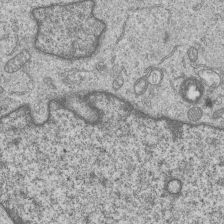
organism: Human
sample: MDA-MB-231 cells